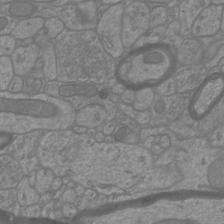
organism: Mouse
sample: Cortical neurons